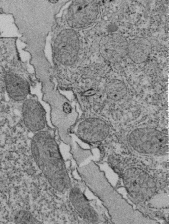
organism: Tetrahymena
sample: Cilia in tetrahymena